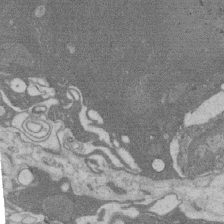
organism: Rat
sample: Salivary granule